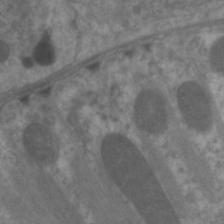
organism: C. elegans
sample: Pharynx